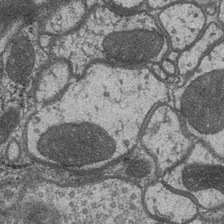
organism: Drosophila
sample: Optic medulla